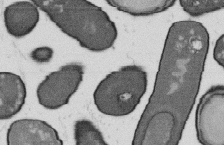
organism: B. subtilis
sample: Bacterial spore